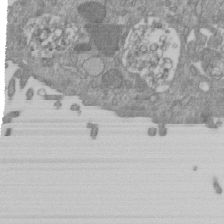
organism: Mouse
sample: ED-1 cell nuclei; centrioles